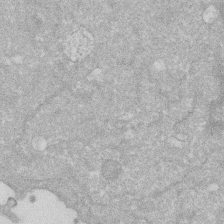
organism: Human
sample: HIV infected U937 cells